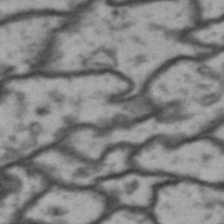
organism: Drosophila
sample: Brain